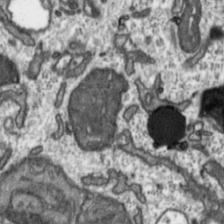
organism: Toxoplasma gondii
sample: Parasites in a vacuole inside a host cell